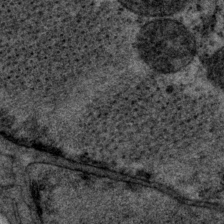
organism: P. pacificus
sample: Pharynx